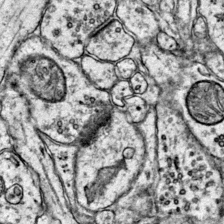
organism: Mouse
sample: Primary visual cortex